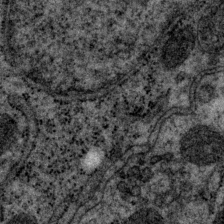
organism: P. pacificus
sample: Pharynx